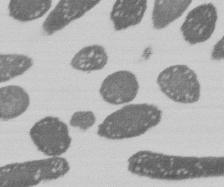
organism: E. coli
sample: Bacterial nucleoid